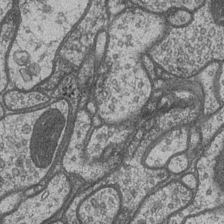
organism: Drosophila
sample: Optic medulla